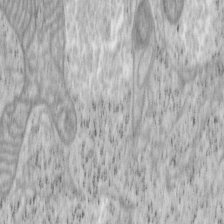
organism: Human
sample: HeLa cells